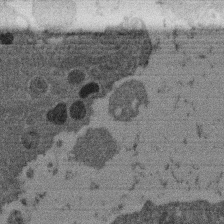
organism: Mouse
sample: Dividing mouse embryo 1 cell stage